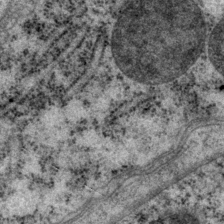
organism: P. pacificus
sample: Pharynx